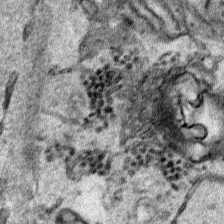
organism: Human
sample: Mitochondria in HCT116 cells